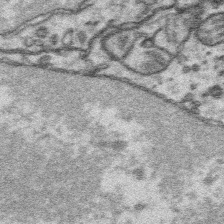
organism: Platynereis dumerilii